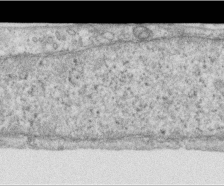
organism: Human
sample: Centriole in RPE cells